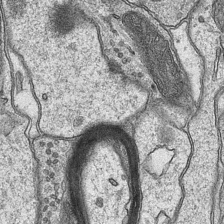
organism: Mouse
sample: CA1 Hippocampus